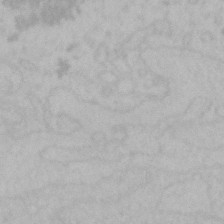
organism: Mouse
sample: Choroid plexus